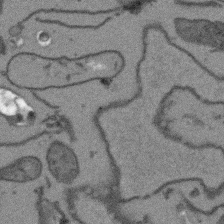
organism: Arabidopsis thaliana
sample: Root tip